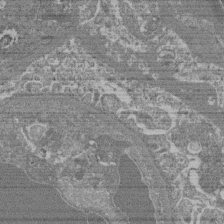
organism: Mouse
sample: Glomerulus